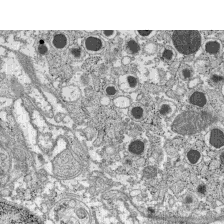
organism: C57BL Mouse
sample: Pancreatic islet